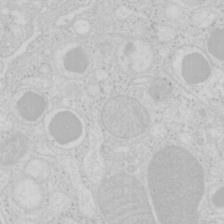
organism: Mouse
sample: Pancreas